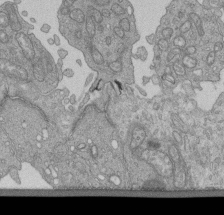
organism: Human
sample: Retinal organoid Rod and Cone cells